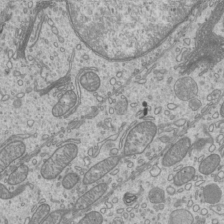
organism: Mouse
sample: Cilia; mouse epididymis